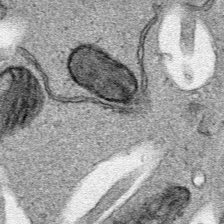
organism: Human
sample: Mitochondria in HCT116 cells